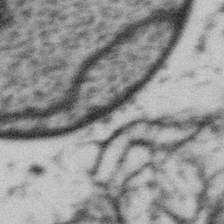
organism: Gemmata obscuriglobus